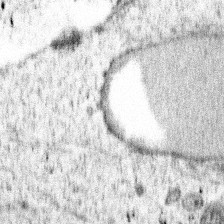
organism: Human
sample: HeLa cells